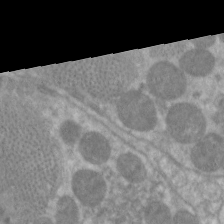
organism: C. elegans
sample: Pharynx